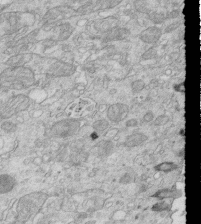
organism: Mouse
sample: Multiciliated cells